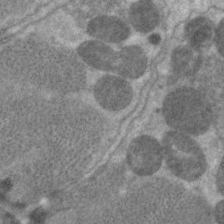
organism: C. elegans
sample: Pharynx